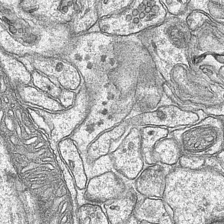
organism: Mouse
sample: CA1 Hippocampus